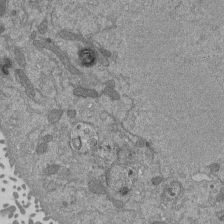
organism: Mouse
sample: ED-1 cell nuclei; centrioles